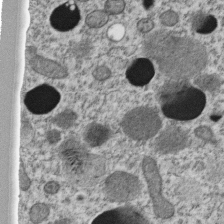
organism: C. elegans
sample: C. elegans embryo early stage